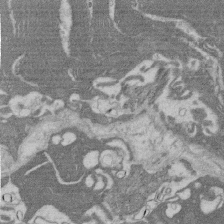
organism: Rat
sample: Salivary granule